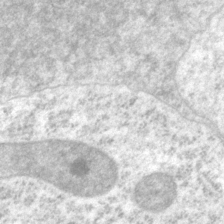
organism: P. pacificus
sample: Pharynx